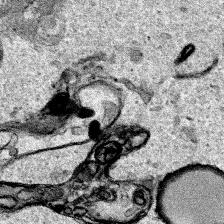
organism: Human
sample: Mitochondria in HCT116 cells